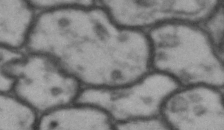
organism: Drosophila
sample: Brain